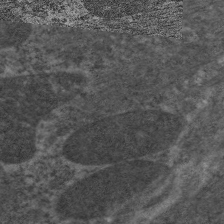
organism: C. elegans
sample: Pharynx